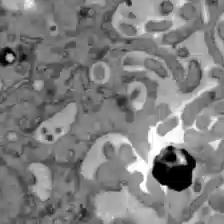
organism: C57BL Mouse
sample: Liver